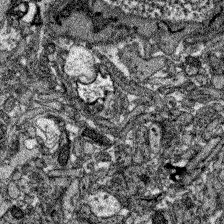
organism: Zebrafish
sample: Larval olfactory bulb